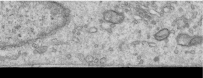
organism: Human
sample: Centriole in RPE cells